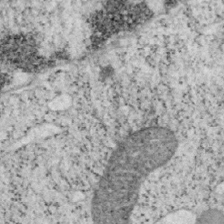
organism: Mouse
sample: OT-I killer T cells with ID8 ovarian cancer cells